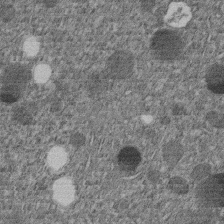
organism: C. elegans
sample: C. elegans embryo early stage